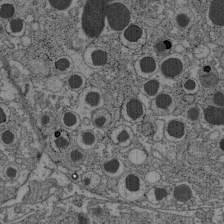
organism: C57BL Mouse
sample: Pancreatic islet